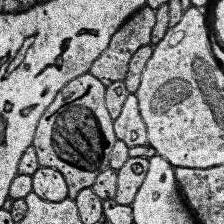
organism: Human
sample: Temporal Lobe